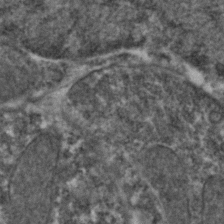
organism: Zebrafish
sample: Zebrafish embryo